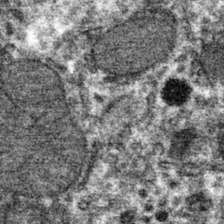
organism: Mouse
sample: Mouse hepatocytes